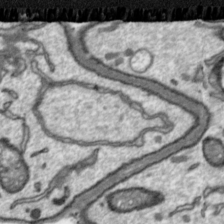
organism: Toxoplasma gondii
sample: Parasites in a vacuole inside a host cell